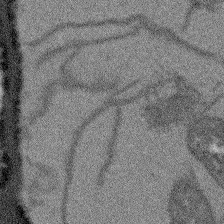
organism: Arabidopsis thaliana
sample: Root tip